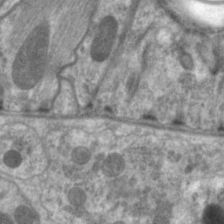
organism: C. elegans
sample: Pharynx